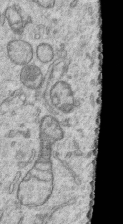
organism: Human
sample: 1205lu cells